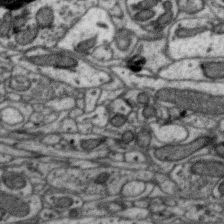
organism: Zebra finch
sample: Brain